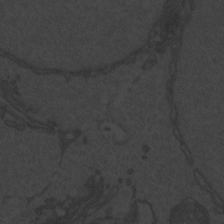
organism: Zebrafish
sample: Macrophage infected with Toxoplasma gondii